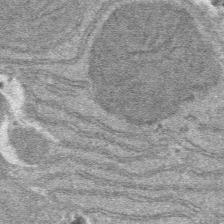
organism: Mouse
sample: Mouse hepatocytes